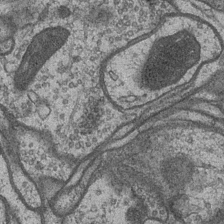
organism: Drosophila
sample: Optic medulla